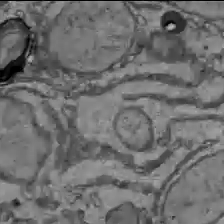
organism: C57BL Mouse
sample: Liver